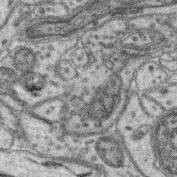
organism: Mouse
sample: Retina